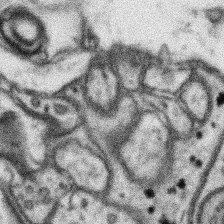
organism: Mouse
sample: Somatosensory cortex neuropil